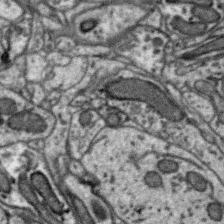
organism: Zebra finch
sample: Brain